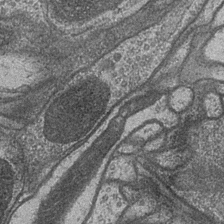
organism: Drosophila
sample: Optic medulla